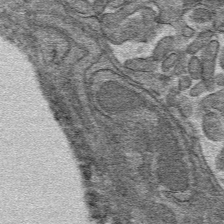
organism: Mouse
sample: Mouse hepatocytes